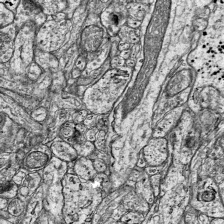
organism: Mouse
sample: Visual Cortex